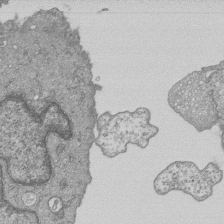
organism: Human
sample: MDA-MB-231 cells